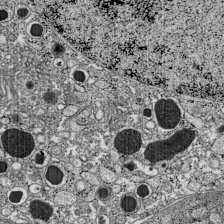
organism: C57BL Mouse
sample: Pancreatic islet